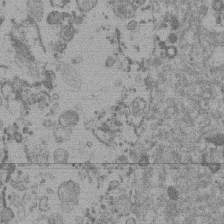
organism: Mouse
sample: Dividing mouse embryo 1 cell stage